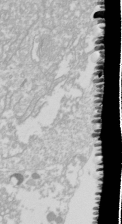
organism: Drosophila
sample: Cell division; meiosis; drosophila spermatocytes